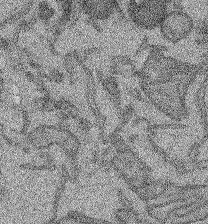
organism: Human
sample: HeLa cells